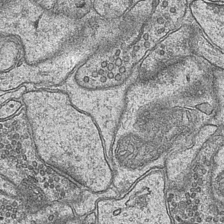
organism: Mouse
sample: CA1 Hippocampus